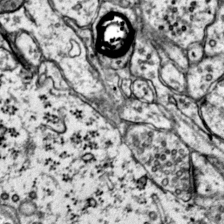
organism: Mouse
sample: Primary visual cortex